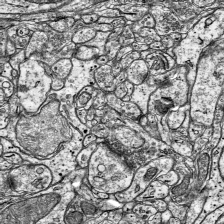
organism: Mouse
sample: Visual Cortex